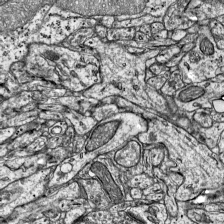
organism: Mouse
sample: Visual Cortex